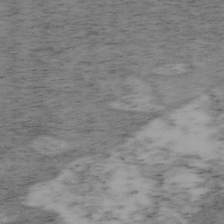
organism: Mouse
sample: OT-I killer T cells with ID8 ovarian cancer cells